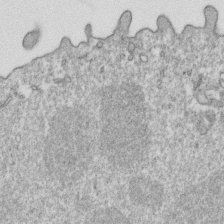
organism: Mouse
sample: Activated OT-1 CD8+ T cells